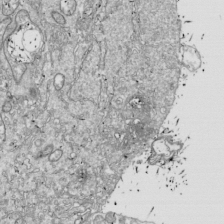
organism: Drosophila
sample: Cell division; meiosis; drosophila spermatocytes